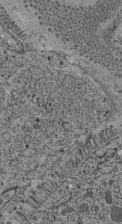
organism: C. elegans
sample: C. elegans pharynx